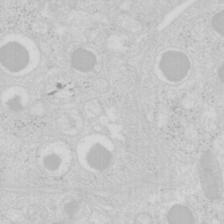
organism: Mouse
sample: Pancreas